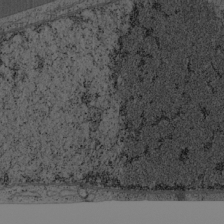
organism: African green monkey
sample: COS-7 cells